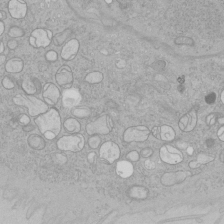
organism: Human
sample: Mitochondria in HCT116 cells